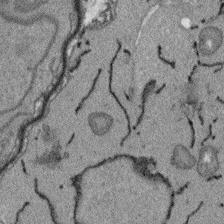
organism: Arabidopsis thaliana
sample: Root tip